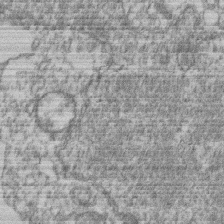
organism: Mouse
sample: T cell stromal cell synapse